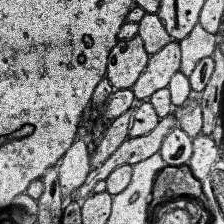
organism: Human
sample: Temporal Lobe